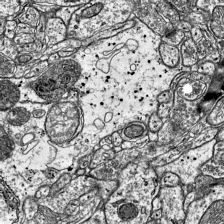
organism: Mouse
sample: Visual Cortex